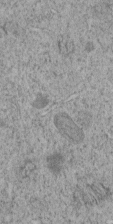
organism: C. elegans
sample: C. elegans embryo early stage